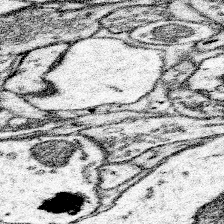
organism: Mouse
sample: Somatosensory cortex neuropil